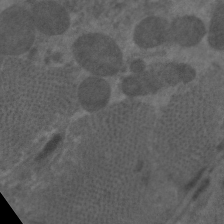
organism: C. elegans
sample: Pharynx